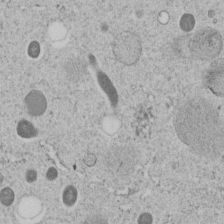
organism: C. elegans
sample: C. elegans embryo early stage